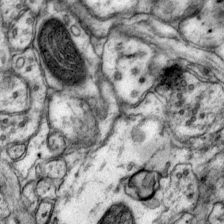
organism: Mouse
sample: Primary visual cortex